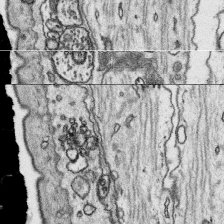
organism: Platynereis dumerilii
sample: Parapodia